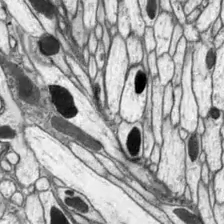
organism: Drosophila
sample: Optic lobe